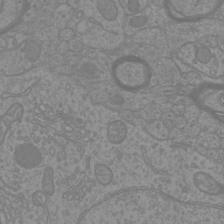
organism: Mouse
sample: Cortical neurons